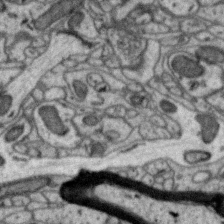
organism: Zebra finch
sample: Brain